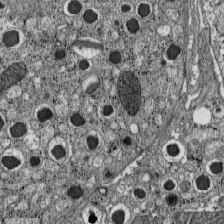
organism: C57BL Mouse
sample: Pancreatic islet